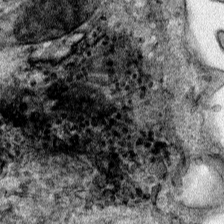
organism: Human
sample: Mitochondria in HCT116 cells